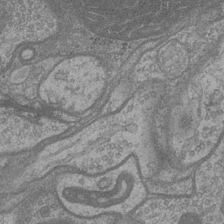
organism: Drosophila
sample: Optic medulla